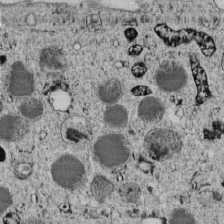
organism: C. elegans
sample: C. elegans embryo early stage